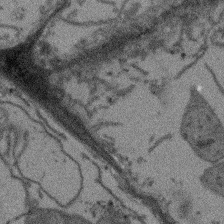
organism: Arabidopsis thaliana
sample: Root tip